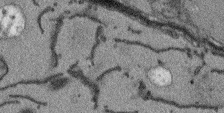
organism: Arabidopsis thaliana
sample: Root tip